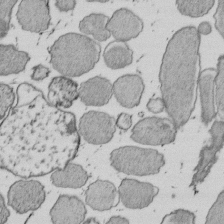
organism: E. coli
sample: Bacterial nucleoid